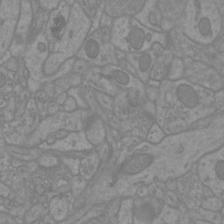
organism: Mouse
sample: Cortical neurons